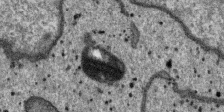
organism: Human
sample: Lung epithelial cells, uninfected (mock) control